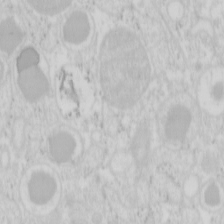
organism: Mouse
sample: Pancreas